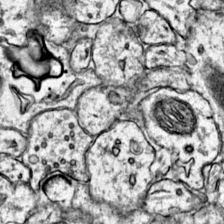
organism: Mouse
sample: Primary visual cortex